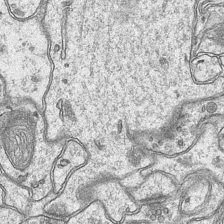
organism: Mouse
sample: CA1 Hippocampus